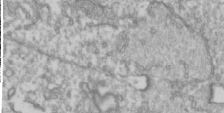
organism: Drosophila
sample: Cell division; meiosis; drosophila spermatocytes